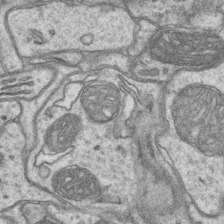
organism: Mouse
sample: CA1 Hippocampus